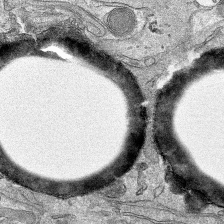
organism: Mouse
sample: Mouse hepatocytes